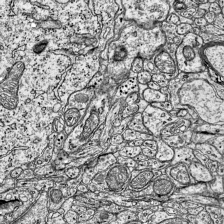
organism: Mouse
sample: Visual Cortex